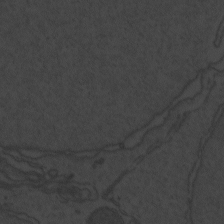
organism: Zebrafish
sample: Macrophage infected with Toxoplasma gondii